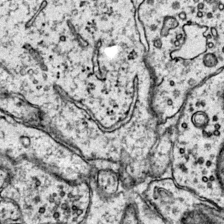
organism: Mouse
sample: Primary visual cortex